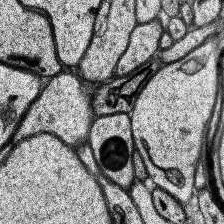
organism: Human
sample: Temporal Lobe